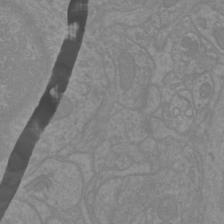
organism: Mouse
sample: Cortical neurons